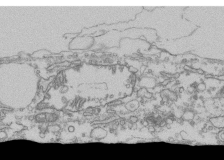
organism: Human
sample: Fibroblast cells